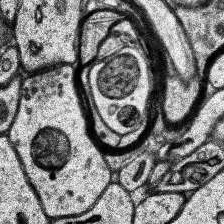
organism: Human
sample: Temporal Lobe